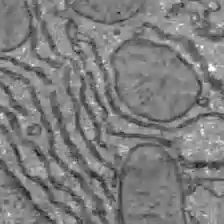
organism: C57BL Mouse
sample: Liver